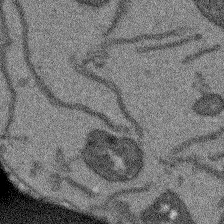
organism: Arabidopsis thaliana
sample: Root tip